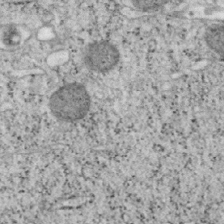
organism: Mouse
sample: OT-I killer T cells with ID8 ovarian cancer cells